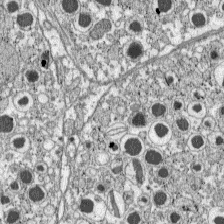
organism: C57BL Mouse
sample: Pancreatic islet